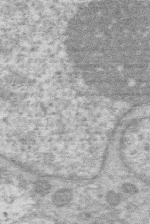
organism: Human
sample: Macrophage cells